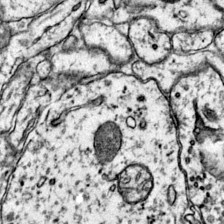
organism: Mouse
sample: Primary visual cortex